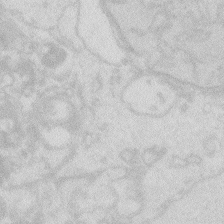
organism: Zebrafish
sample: Macrophage